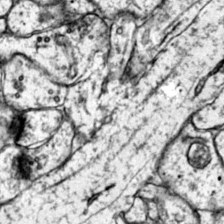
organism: Mouse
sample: Primary visual cortex